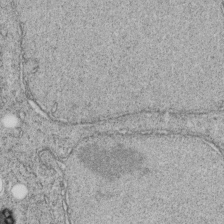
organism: C. elegans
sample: C. elegans embryo early stage